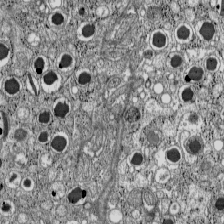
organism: C57BL Mouse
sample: Pancreatic islet